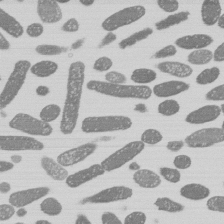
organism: E. coli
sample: Bacterial nucleoid